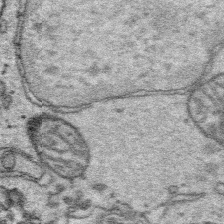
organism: Platynereis dumerilii